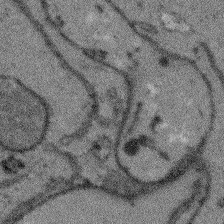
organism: Arabidopsis thaliana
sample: Root tip